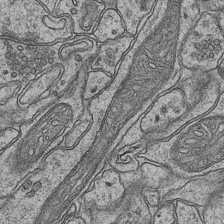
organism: Mouse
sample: CA1 Hippocampus